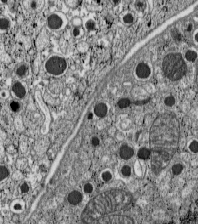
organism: C57BL Mouse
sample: Pancreatic islet